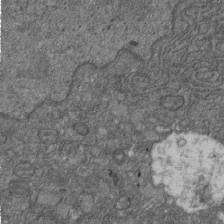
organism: Drosophila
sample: Nephrocyte